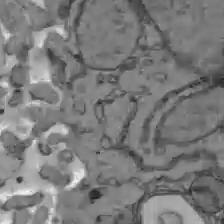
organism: C57BL Mouse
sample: Liver